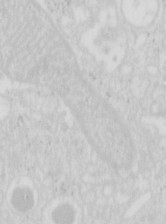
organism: Mouse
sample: Pancreas